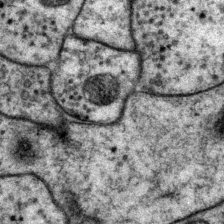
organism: P. pacificus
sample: Pharynx